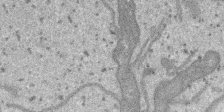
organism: Human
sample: Lung epithelial cells infected with SARS-CoV-2